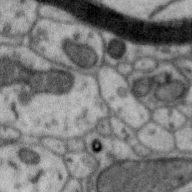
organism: Zebra finch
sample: Brain